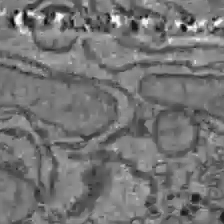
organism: C57BL Mouse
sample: Liver